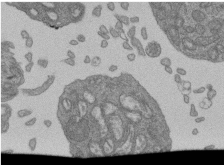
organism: Human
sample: Retinal organoid Rod and Cone cells